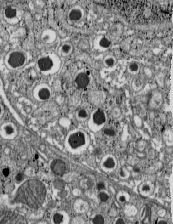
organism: C57BL Mouse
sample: Pancreatic islet